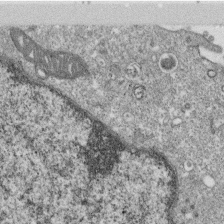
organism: African green monkey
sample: Vero E6 cells infected with SARS-CoV-2